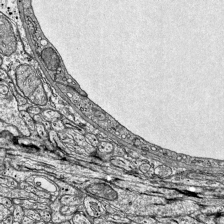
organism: Mouse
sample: Visual Cortex